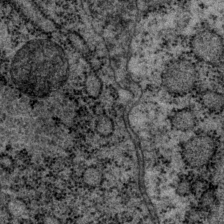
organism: P. pacificus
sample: Pharynx